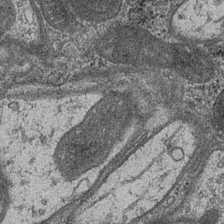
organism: Drosophila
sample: Optic medulla